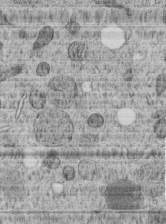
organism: C. elegans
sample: C. elegans embryo early stage